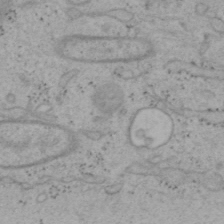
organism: Human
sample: HeLa cells